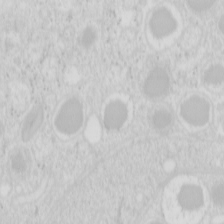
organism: Mouse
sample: Pancreas